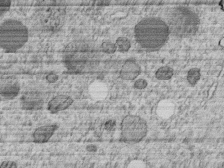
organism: C. elegans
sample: C. elegans embryo early stage